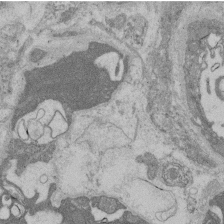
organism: Rat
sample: Salivary granule